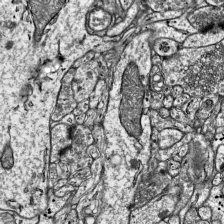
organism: Mouse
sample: Visual Cortex